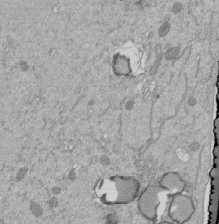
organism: Mouse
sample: ED-1 cell nuclei; centrioles